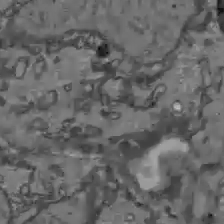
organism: C57BL Mouse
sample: Liver